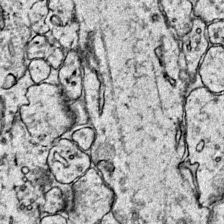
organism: Mouse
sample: Primary visual cortex